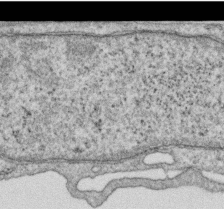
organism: Human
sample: Centriole in RPE cells